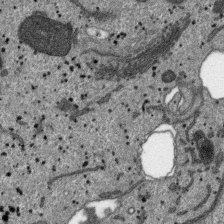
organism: Human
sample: Lung epithelial cells, uninfected (mock) control